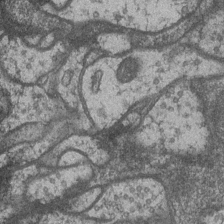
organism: Drosophila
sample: Optic medulla